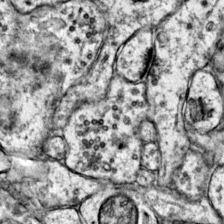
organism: Mouse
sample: Primary visual cortex